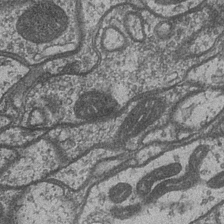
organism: Drosophila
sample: Optic medulla